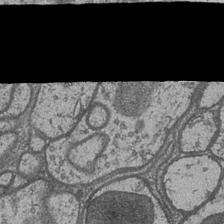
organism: Drosophila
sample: Optic medulla